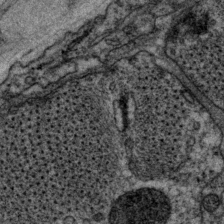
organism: P. pacificus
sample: Pharynx